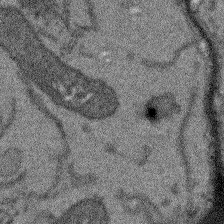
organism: Arabidopsis thaliana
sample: Root tip